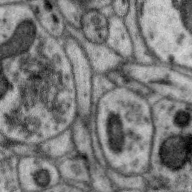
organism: Zebra finch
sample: Brain